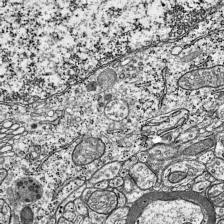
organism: Mouse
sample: Visual Cortex